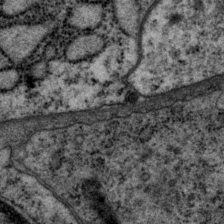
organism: P. pacificus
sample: Pharynx